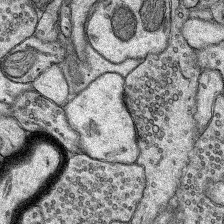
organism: Rat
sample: Hippocampus